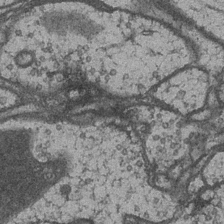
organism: Drosophila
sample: Optic medulla